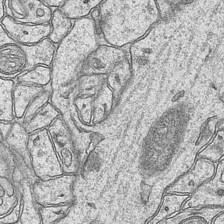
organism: Mouse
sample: CA1 Hippocampus